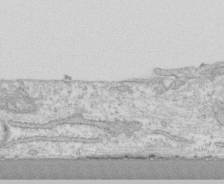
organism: Human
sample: CRL-1474